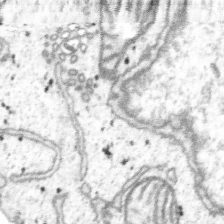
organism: Human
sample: HeLa cells